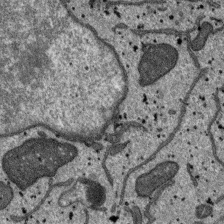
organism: Human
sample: Lung epithelial cells, uninfected (mock) control